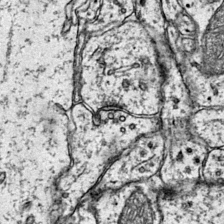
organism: Mouse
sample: Primary visual cortex